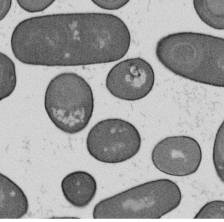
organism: B. subtilis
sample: Bacterial spore